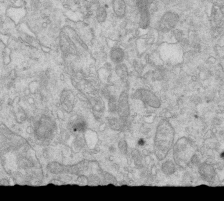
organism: Mouse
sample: Multiciliated cells